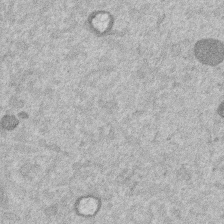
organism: Mouse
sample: Dividing mouse embryo 1 cell stage